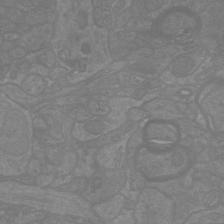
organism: Mouse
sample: Cortical neurons